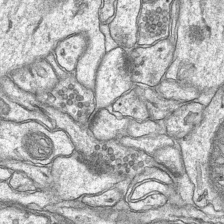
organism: Mouse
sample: CA1 Hippocampus